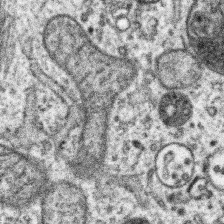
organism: Human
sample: HeLa cells